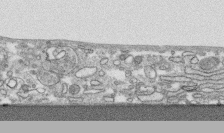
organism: Human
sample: CRL-1474